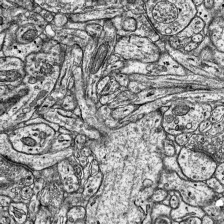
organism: Mouse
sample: Visual Cortex